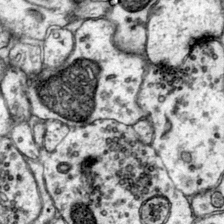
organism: Mouse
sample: Primary visual cortex